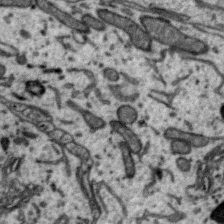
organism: Zebra finch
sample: Brain